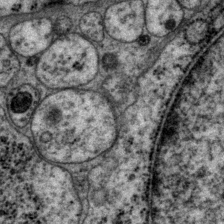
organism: P. pacificus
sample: Pharynx